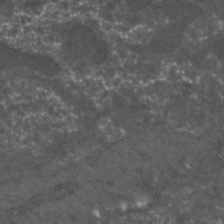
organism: C. elegans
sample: C. elegans embryo